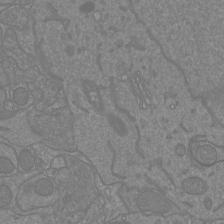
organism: Mouse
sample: Cortical neurons